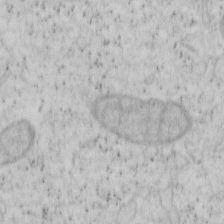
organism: Human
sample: HeLa cells